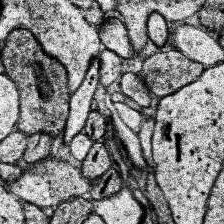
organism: Human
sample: Temporal Lobe